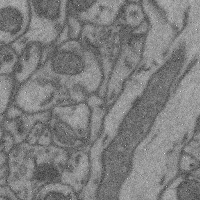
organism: Mouse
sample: Cerebral cortex